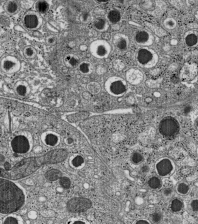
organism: C57BL Mouse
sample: Pancreatic islet